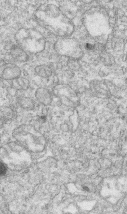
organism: Human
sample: HeLa cell HIV synapse